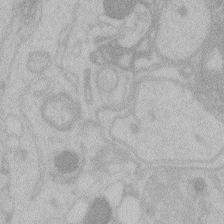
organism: Zebrafish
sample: Macrophage infected with Toxoplasma gondii